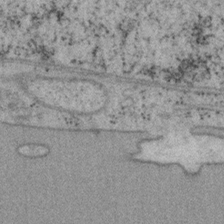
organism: Human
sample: HeLa cells